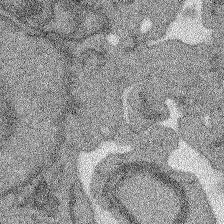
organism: Human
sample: HeLa cells